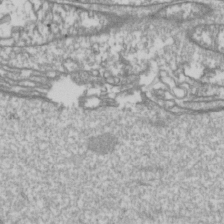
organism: Drosophila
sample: Cell division; meiosis; drosophila spermatocytes